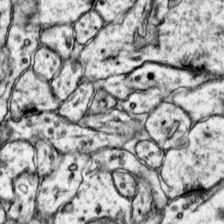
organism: Mouse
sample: Primary visual cortex